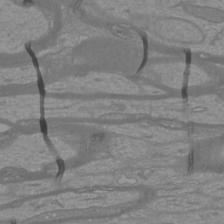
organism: Mouse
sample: Cortical neurons